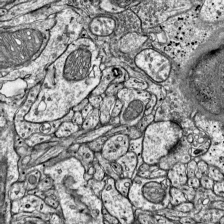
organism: Mouse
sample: Visual Cortex